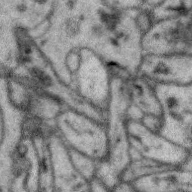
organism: Zebra finch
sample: Brain